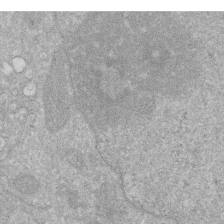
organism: Human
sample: HIV infected U937 cells